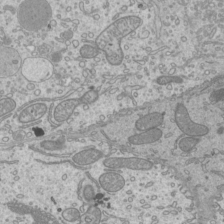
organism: Mouse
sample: Cilia; mouse epididymis